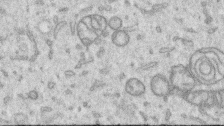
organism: Human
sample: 1205lu cells